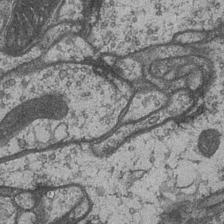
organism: Drosophila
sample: Optic medulla